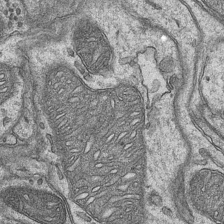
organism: Mouse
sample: CA1 Hippocampus